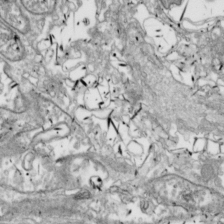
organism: Drosophila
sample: Cell division; meiosis; drosophila spermatocytes